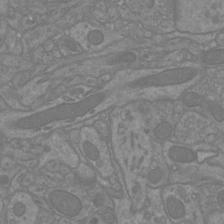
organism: Mouse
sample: Cortical neurons